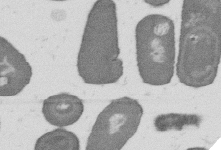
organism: B. subtilis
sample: Bacterial spore